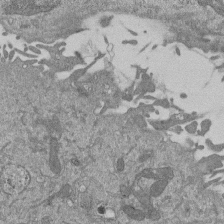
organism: Mouse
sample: ED-1 cell nuclei; centrioles